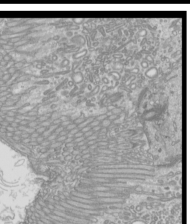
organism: Mouse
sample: Cilia; mouse epididymis